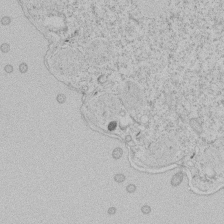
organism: Tetrahymena